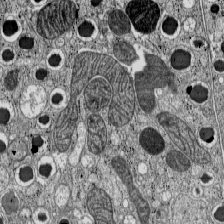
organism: C57BL Mouse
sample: Pancreatic islet